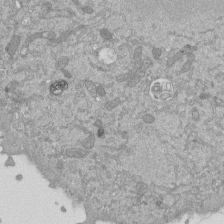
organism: Mouse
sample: ED-1 cell nuclei; centrioles